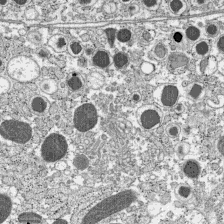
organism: C57BL Mouse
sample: Pancreatic islet